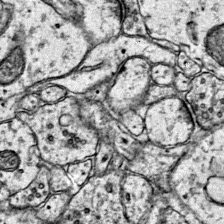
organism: Mouse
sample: Primary visual cortex